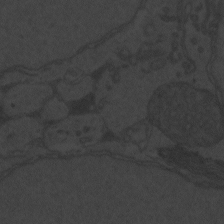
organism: Zebrafish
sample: Macrophage infected with Toxoplasma gondii